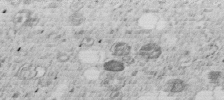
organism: C. elegans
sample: C. elegans embryo early stage